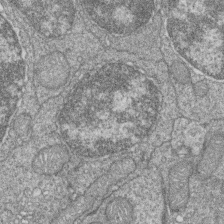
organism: Zebrafish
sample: Cilia; retinal pigment epithelium